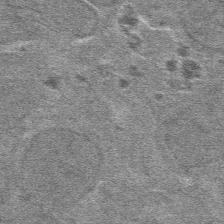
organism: Mouse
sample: Mouse hepatocytes